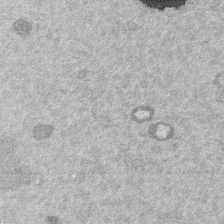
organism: Mouse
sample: Dividing mouse embryo 1 cell stage